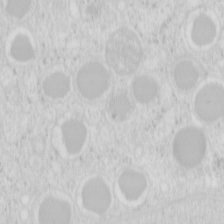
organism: Mouse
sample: Pancreas